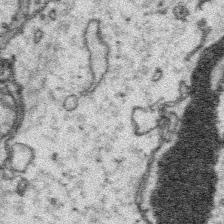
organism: Platynereis dumerilii